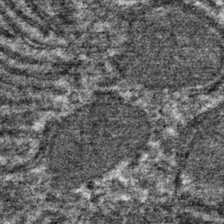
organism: Mouse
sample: Mouse hepatocytes